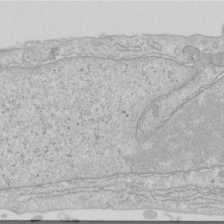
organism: Human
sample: Centriole in RPE cells